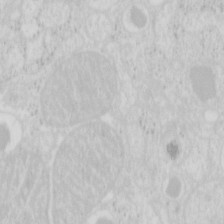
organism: Mouse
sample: Pancreas